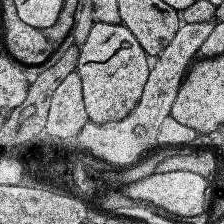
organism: Human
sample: Temporal Lobe